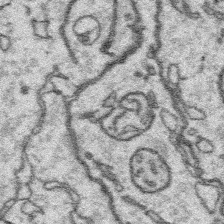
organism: Platynereis dumerilii